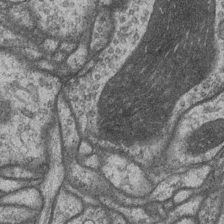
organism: Drosophila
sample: Optic medulla